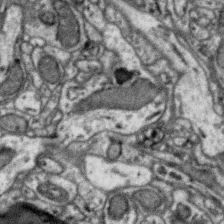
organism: Zebra finch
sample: Brain